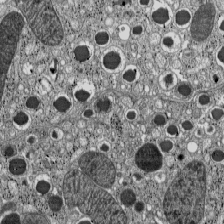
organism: C57BL Mouse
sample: Pancreatic islet